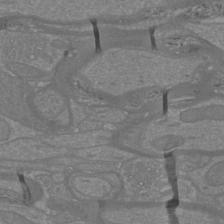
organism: Mouse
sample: Cortical neurons